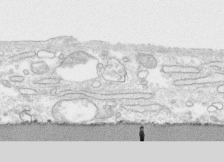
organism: Human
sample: CRL-1474